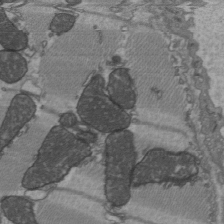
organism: C57BL Mouse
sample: Heart